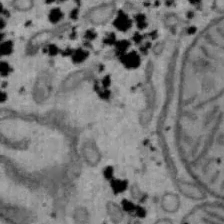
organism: Mouse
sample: Liver